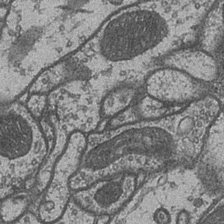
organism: Drosophila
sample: Optic medulla